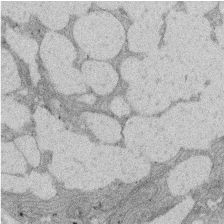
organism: Rat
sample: Salivary granule